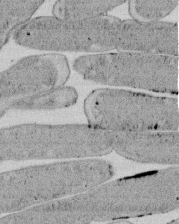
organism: E. coli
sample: Bacterial nucleoid